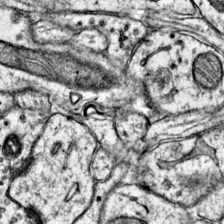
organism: Mouse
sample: Primary visual cortex